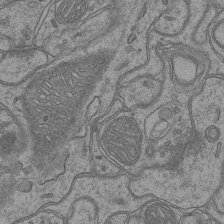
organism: Mouse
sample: CA1 Hippocampus